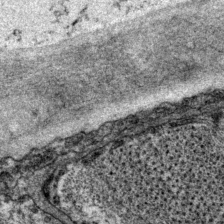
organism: P. pacificus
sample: Pharynx